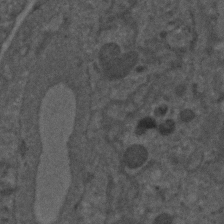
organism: C. elegans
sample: C. elegans embryo